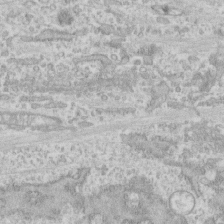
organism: Human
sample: CRL-1474